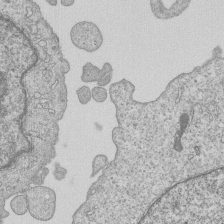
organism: Human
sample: MDA-MB-231 cells